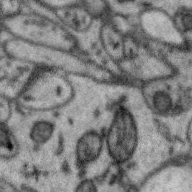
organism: Zebra finch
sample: Brain